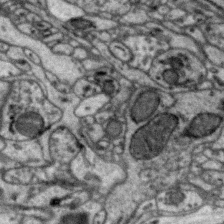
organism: Zebra finch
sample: Brain